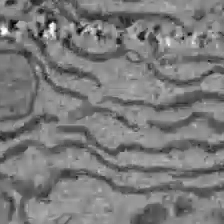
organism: C57BL Mouse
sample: Liver